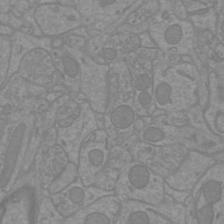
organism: Mouse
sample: Cortical neurons